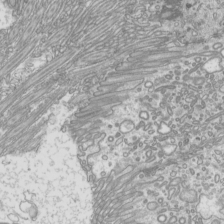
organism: Mouse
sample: Cilia; mouse epididymis